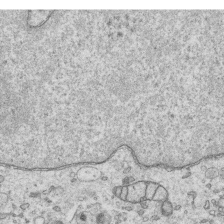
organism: Human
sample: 1205lu cells